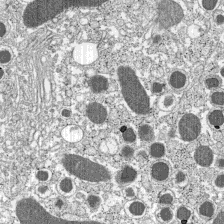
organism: C57BL Mouse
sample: Pancreatic islet